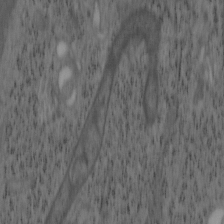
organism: Human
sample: HeLa cells